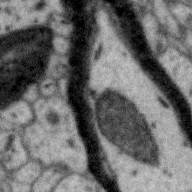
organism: Zebra finch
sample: Brain